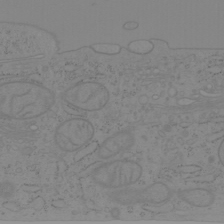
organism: Human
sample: HeLa cells